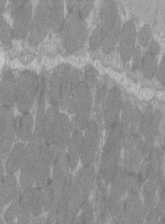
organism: C57BL Mouse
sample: Tibialis anterior muscle cell